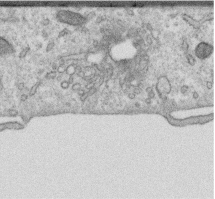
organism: Human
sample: Centriole in RPE cells